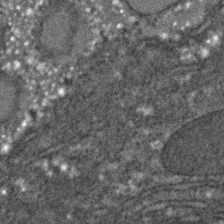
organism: C. elegans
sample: C. elegans embryo